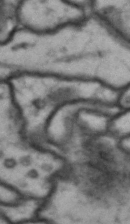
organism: Drosophila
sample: Brain